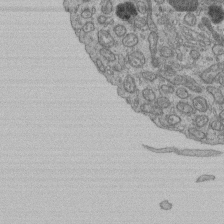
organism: Human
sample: Retinal organoid Rod and Cone cells